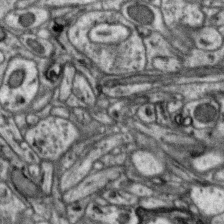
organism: Zebra finch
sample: Brain